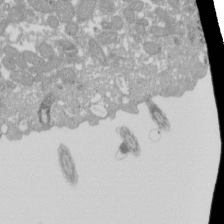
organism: Xenopus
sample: Cilia; centrioles in frog embryo cells